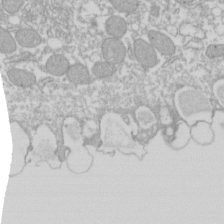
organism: Xenopus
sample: Cilia; centrioles in frog embryo cells